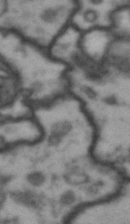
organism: Drosophila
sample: Brain